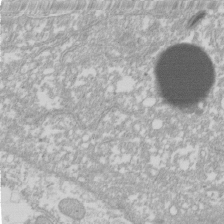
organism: Xenopus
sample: Cilia; centrioles in frog embryo cells